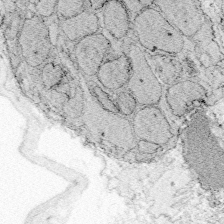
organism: Zebrafish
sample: Whole-Brain